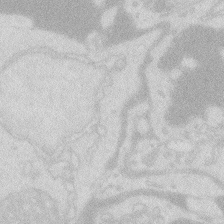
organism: Zebrafish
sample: Macrophage